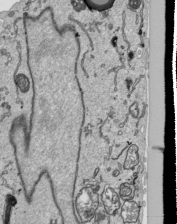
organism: Human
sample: Mitochondria in HCT116 cells